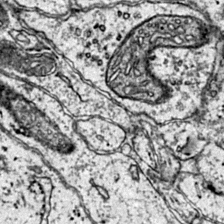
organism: Mouse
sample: Primary visual cortex